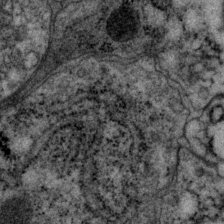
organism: P. pacificus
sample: Pharynx